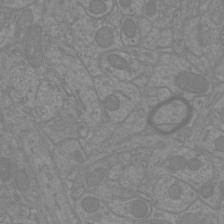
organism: Mouse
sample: Cortical neurons